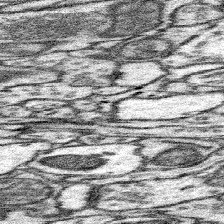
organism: Mouse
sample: Somatosensory cortex neuropil